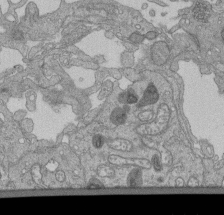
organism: Human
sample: Retinal organoid Rod and Cone cells